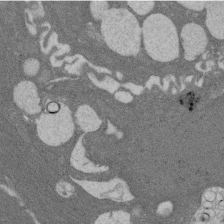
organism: Rat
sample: Salivary granule